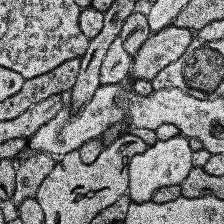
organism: Human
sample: Temporal Lobe